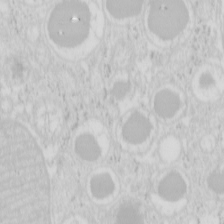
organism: Mouse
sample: Pancreas